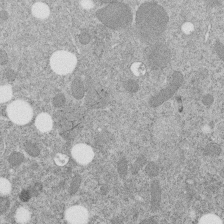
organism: C. elegans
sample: C. elegans embryo early stage